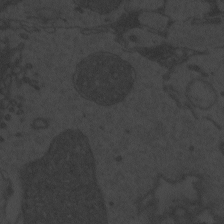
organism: Zebrafish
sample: Macrophage infected with Toxoplasma gondii